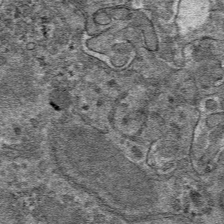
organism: Mouse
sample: Mouse hepatocytes